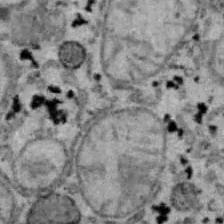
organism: Mouse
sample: Liver from an obese (ob/ob) mouse